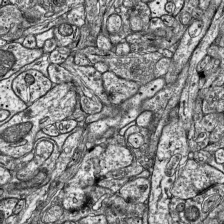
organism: Mouse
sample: Visual Cortex